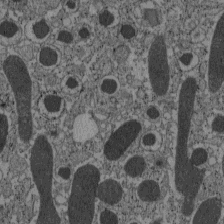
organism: C57BL Mouse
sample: Pancreatic islet